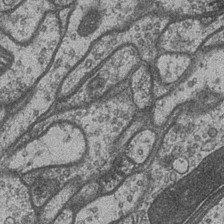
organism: Drosophila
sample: Optic medulla